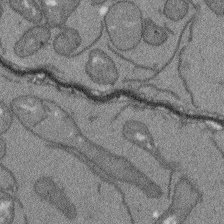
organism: Arabidopsis thaliana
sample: Root tip